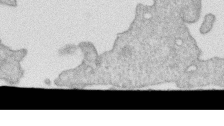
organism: Human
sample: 1205lu cells